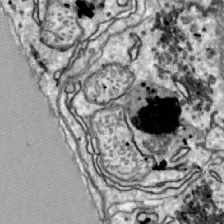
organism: Zebrafish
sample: Actinotrichia fibers